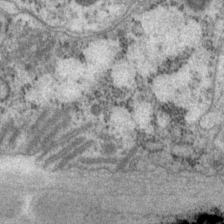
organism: P. pacificus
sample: Pharynx